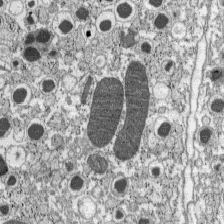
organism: C57BL Mouse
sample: Pancreatic islet